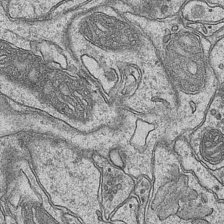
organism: Mouse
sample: CA1 Hippocampus